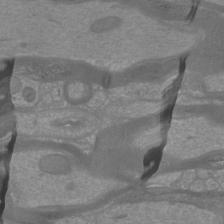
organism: Mouse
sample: Cortical neurons